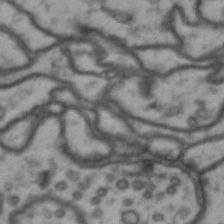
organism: Drosophila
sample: Brain